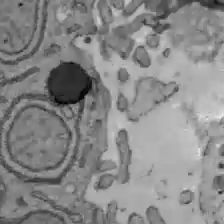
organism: C57BL Mouse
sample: Liver